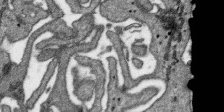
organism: Human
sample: Lung epithelial cells, uninfected (mock) control